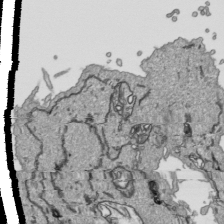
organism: Human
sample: Mitochondria in HCT116 cells